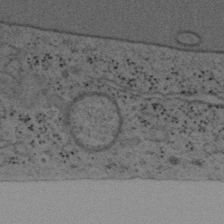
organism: Human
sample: HeLa cells